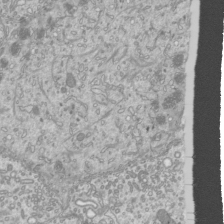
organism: Mouse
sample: Cilia; mouse epididymis